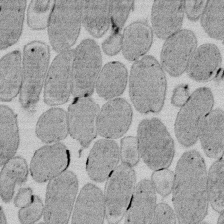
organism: E. coli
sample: Bacterial nucleoid